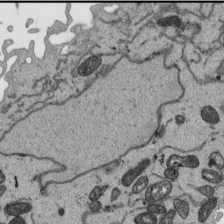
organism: Human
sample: Mitochondria in HCT116 cells